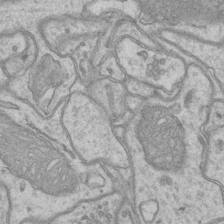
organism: Mouse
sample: CA1 Hippocampus